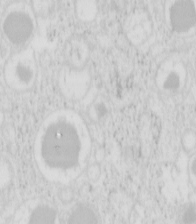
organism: Mouse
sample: Pancreas